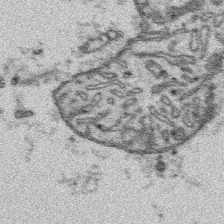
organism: Platynereis dumerilii